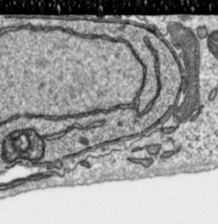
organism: Toxoplasma gondii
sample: Parasites in a vacuole inside a host cell